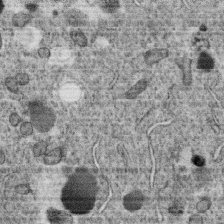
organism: C. elegans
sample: C. elegans oocyte; sperm cells